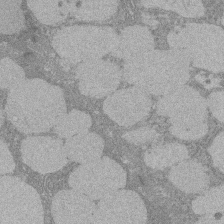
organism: Rat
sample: Salivary granule